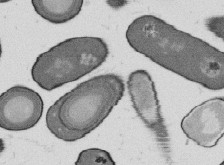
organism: B. subtilis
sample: Bacterial spore